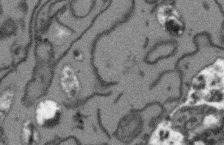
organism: Arabidopsis thaliana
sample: Root tip